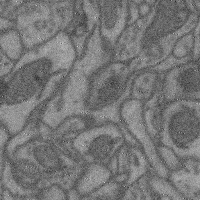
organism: Mouse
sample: Cerebral cortex